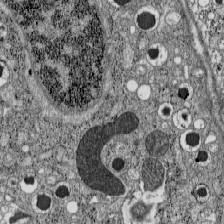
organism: C57BL Mouse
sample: Pancreatic islet